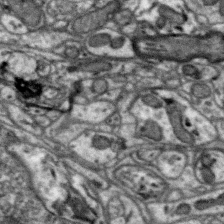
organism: Zebra finch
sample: Brain